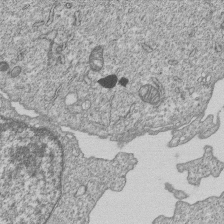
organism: Human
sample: MDA-MB-231 cells